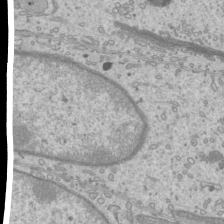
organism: Mouse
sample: Cilia; mouse epididymis